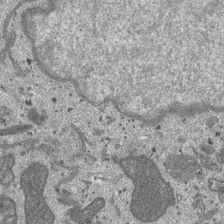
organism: Human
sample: Lung epithelial cells infected with SARS-CoV-2